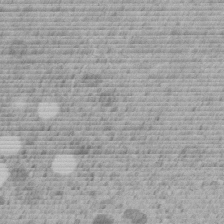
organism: C. elegans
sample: C. elegans embryo early stage